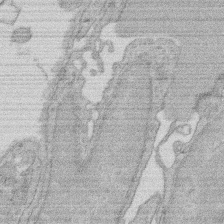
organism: Rat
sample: Salivary granule